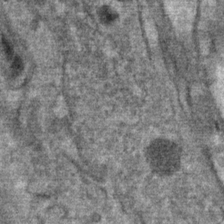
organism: Mouse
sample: Mouse Salivary gland